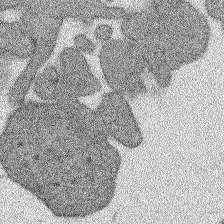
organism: Human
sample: HeLa cells